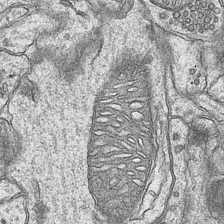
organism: Mouse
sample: CA1 Hippocampus